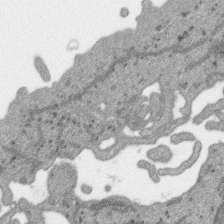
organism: Human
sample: Lung epithelial cells infected with SARS-CoV-2